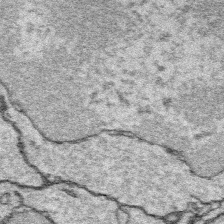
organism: Platynereis dumerilii